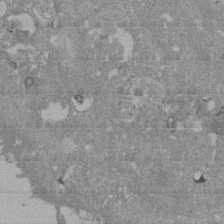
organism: Mouse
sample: ED-1 cell nuclei; centrioles